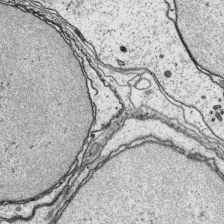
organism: Platynereis dumerilii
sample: Parapodia